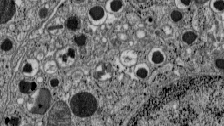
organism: C57BL Mouse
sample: Pancreatic islet